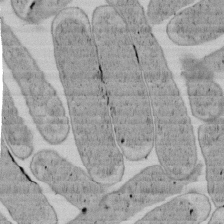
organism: E. coli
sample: Bacterial nucleoid